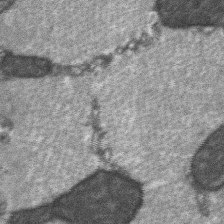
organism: C57BL Mouse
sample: Soleus